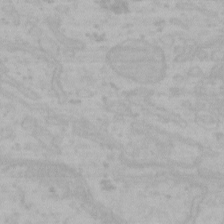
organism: Mouse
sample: Choroid plexus